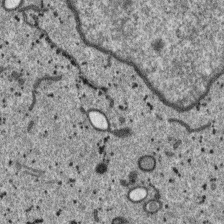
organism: Human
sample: Lung epithelial cells infected with SARS-CoV-2